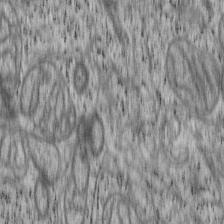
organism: Human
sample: HeLa cells